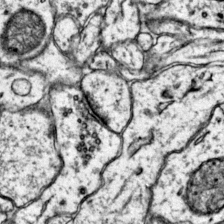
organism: Mouse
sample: Primary visual cortex